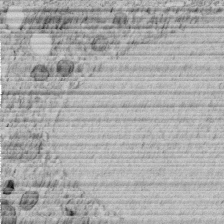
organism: C. elegans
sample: C. elegans embryo early stage